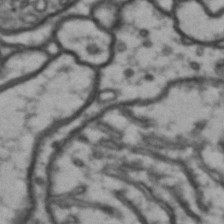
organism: Drosophila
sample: Brain